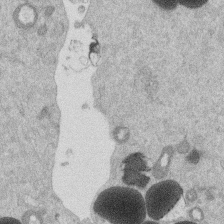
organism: Mouse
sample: Dividing mouse embryo 1 cell stage